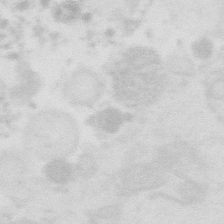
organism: Human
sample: HeLa cells